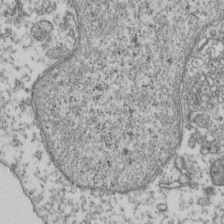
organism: Human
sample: Activated Jurkat CD4+ T cells